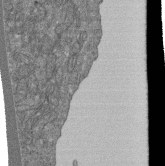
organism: Human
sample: Retinal organoid Rod and Cone cells